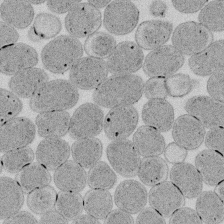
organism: E. coli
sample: Bacterial nucleoid